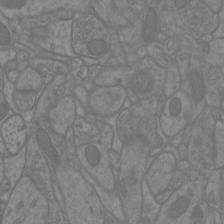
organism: Mouse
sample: Cortical neurons